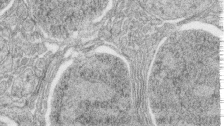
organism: Zebrafish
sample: synaptic ribbons in rod cells and cone cells